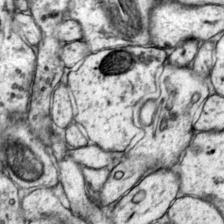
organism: Mouse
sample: Primary visual cortex